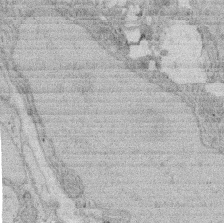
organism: Rat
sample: Salivary granule